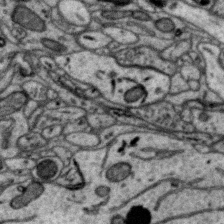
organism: Zebra finch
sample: Brain